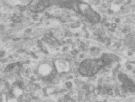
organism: Human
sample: Centriole in RPE cells